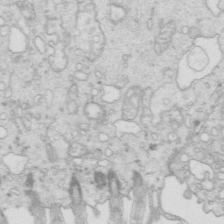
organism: Mouse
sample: Multiciliated cells